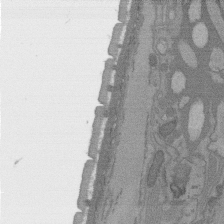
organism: C. elegans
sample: AFD neurons C. elegans